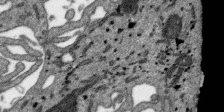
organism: Human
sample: Lung epithelial cells, uninfected (mock) control